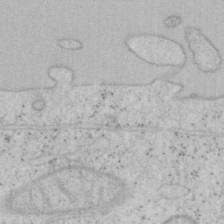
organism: Human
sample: HeLa cells